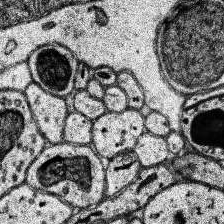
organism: Human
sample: Temporal Lobe